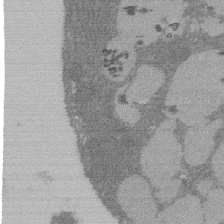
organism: Rat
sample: Salivary granule